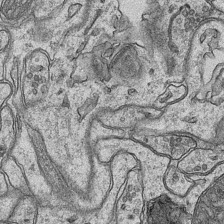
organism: Mouse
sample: CA1 Hippocampus